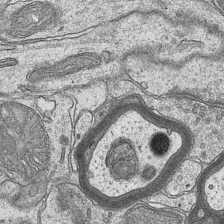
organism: Mouse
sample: CA1 Hippocampus